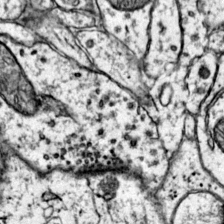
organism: Mouse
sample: Primary visual cortex